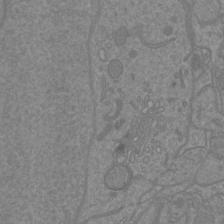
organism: Mouse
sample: Cortical neurons